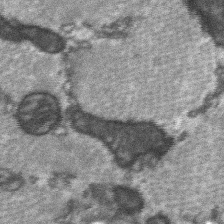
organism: C57BL Mouse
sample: Soleus